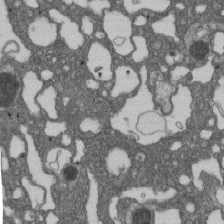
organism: Drosophila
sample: Nephrocyte